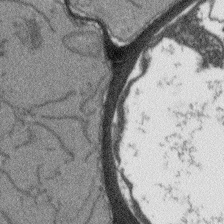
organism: Arabidopsis thaliana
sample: Root tip